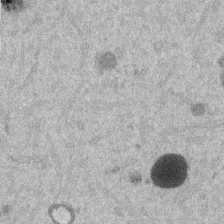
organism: Mouse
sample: Dividing mouse embryo 1 cell stage